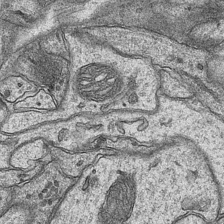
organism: Mouse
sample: CA1 Hippocampus